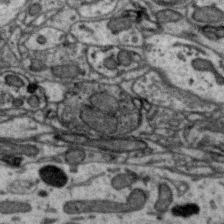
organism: Zebra finch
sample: Brain